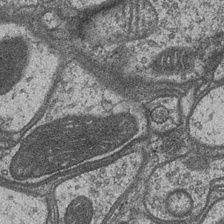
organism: Drosophila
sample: Optic medulla